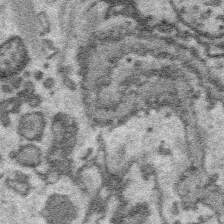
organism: Platynereis dumerilii